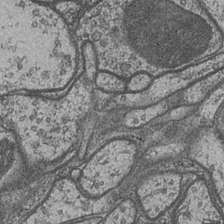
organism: Drosophila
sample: Optic medulla